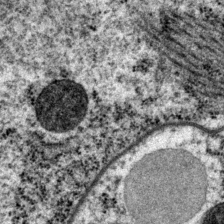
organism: P. pacificus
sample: Pharynx